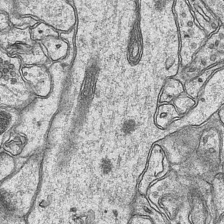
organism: Mouse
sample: CA1 Hippocampus